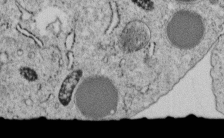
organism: C. elegans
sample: C. elegans embryo early stage